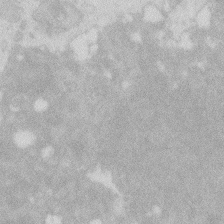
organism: Zebrafish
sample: Macrophage